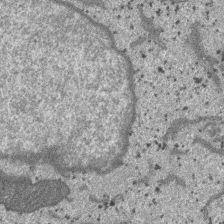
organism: Human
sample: Lung epithelial cells infected with SARS-CoV-2